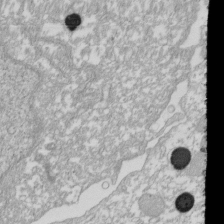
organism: Xenopus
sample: Cilia; centrioles in frog embryo cells